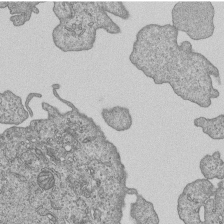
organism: Human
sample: MDA-MB-231 cells